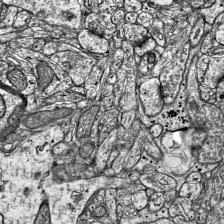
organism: Mouse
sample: Visual Cortex